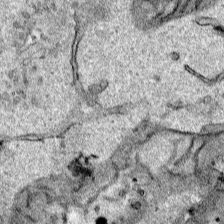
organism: Human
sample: Mitochondria in HCT116 cells